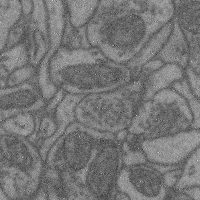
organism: Mouse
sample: Cerebral cortex